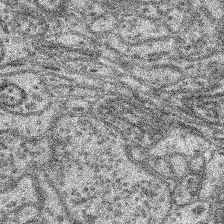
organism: Mouse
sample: Retina